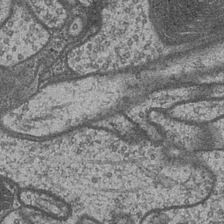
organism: Drosophila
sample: Optic medulla